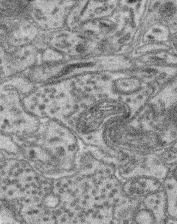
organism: Mouse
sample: Retina